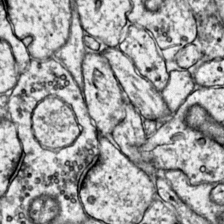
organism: Mouse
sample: Primary visual cortex